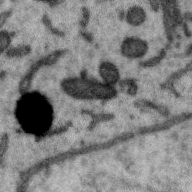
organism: Zebra finch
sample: Brain